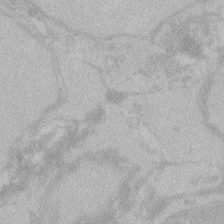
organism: Zebrafish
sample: Macrophage infected with Toxoplasma gondii